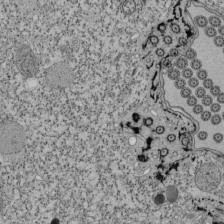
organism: Tetrahymena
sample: Cilia in tetrahymena